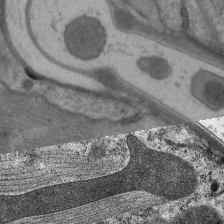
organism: C. elegans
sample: Pharynx